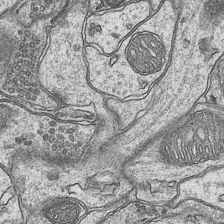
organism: Mouse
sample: CA1 Hippocampus